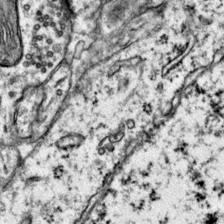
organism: Mouse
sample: Primary visual cortex